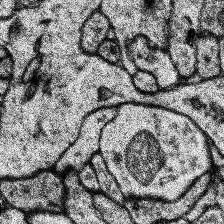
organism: Human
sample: Temporal Lobe